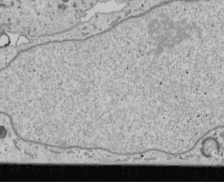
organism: Human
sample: Mitochondria in U2OS cells